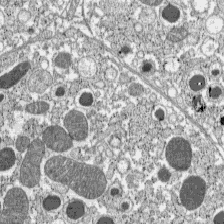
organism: C57BL Mouse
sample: Pancreatic islet